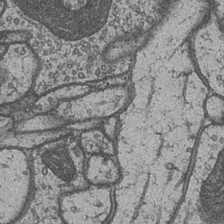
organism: Drosophila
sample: Optic medulla